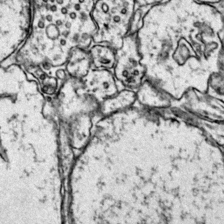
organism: Mouse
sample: Primary visual cortex